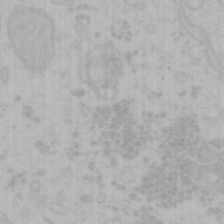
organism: Mouse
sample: Choroid plexus